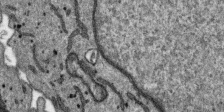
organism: Human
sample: Lung epithelial cells, uninfected (mock) control